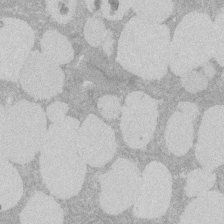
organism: Rat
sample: Salivary granule